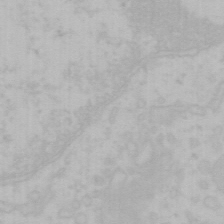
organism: Mouse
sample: Choroid plexus